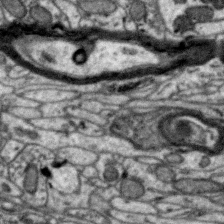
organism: Zebra finch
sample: Brain